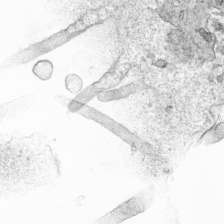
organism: Human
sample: Mitochondria in HCT116 cells